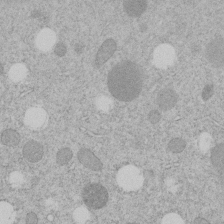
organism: C. elegans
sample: C. elegans embryo early stage